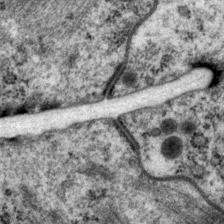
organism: P. pacificus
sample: Pharynx